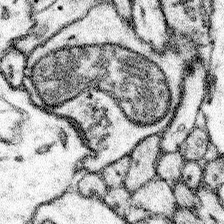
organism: Mouse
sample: Somatosensory cortex neuropil